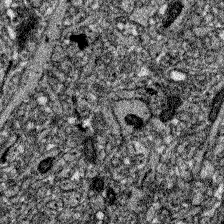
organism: Zebrafish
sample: Larval olfactory bulb